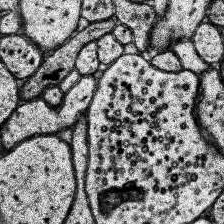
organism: Human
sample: Temporal Lobe